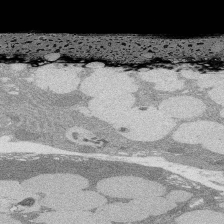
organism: Rat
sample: Salivary granule